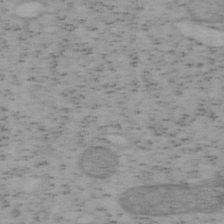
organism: Mouse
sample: OT-I killer T cells with ID8 ovarian cancer cells